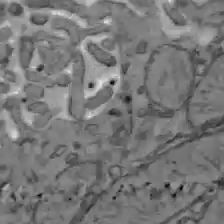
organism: C57BL Mouse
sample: Liver